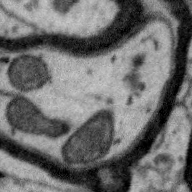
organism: Zebra finch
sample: Brain